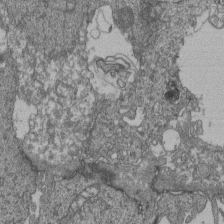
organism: Human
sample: Retinal organoid Rod and Cone cells